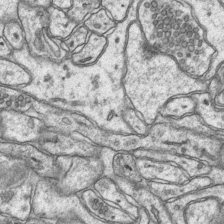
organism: Mouse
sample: CA1 Hippocampus